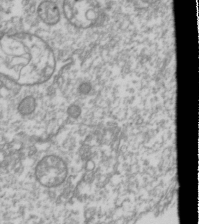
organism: Drosophila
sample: Cell division; meiosis; drosophila spermatocytes